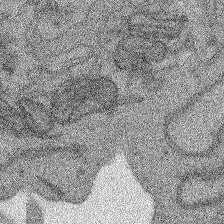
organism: Human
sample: HeLa cells